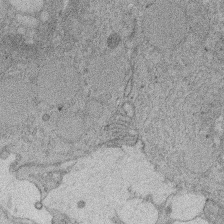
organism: Rat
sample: Salivary granule